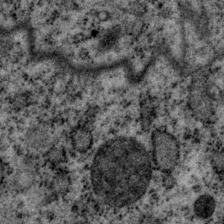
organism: P. pacificus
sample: Pharynx